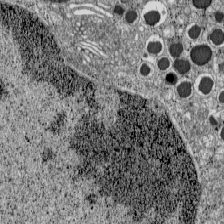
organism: C57BL Mouse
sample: Pancreatic islet